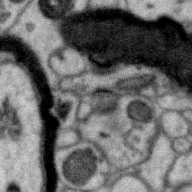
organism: Zebra finch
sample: Brain